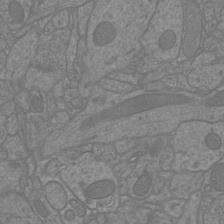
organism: Mouse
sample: Cortical neurons